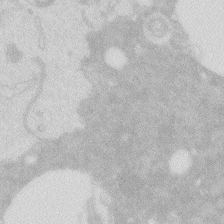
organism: Zebrafish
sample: Macrophage